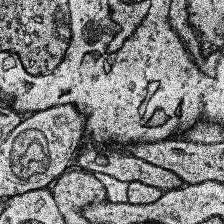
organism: Human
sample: Temporal Lobe